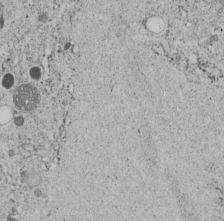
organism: C. elegans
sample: C. elegans embryo early stage